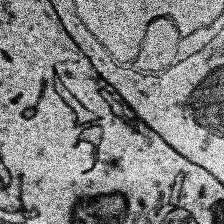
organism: Human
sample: Temporal Lobe